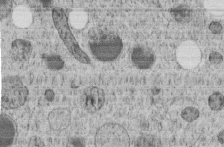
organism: C. elegans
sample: C. elegans embryo early stage